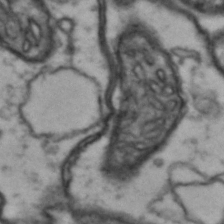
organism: Drosophila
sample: Brain